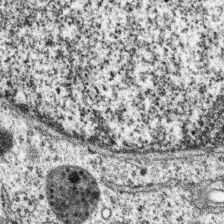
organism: Human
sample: HeLa cells